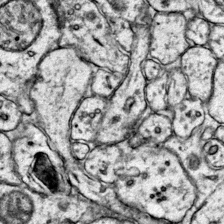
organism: Mouse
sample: Primary visual cortex